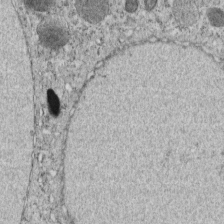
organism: C. elegans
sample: C. elegans embryo early stage